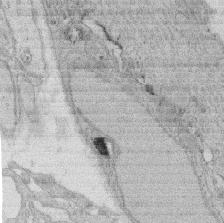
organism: Rat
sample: Salivary granule